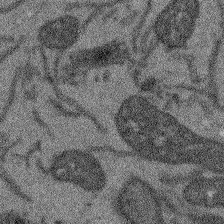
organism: Arabidopsis thaliana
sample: Root tip